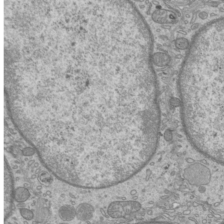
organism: Mouse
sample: Cilia; mouse epididymis